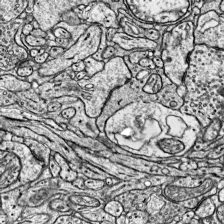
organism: Mouse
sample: Visual Cortex